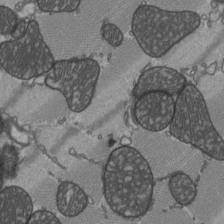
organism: C57BL Mouse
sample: Heart